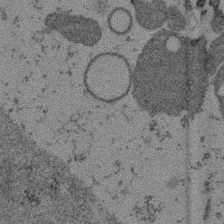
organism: Mouse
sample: Dividing mouse embryo 1 cell stage